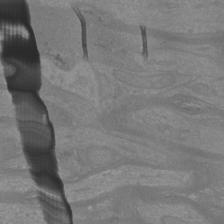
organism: Mouse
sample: Cortical neurons